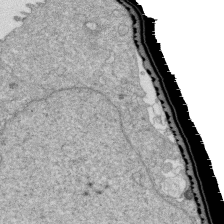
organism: Human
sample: HeLa cell HIV synapse